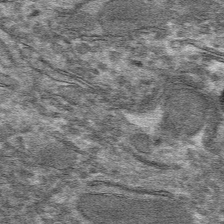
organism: Mouse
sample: Mouse hepatocytes